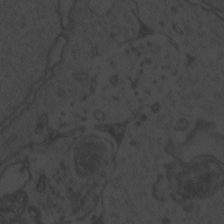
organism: Zebrafish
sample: Macrophage infected with Toxoplasma gondii